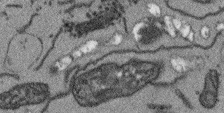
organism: Arabidopsis thaliana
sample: Root tip